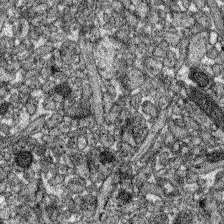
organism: Zebrafish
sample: Larval olfactory bulb